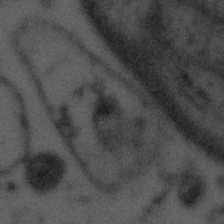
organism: Tuwongella immobilis